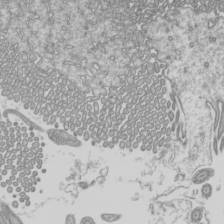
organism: Mouse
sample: Cilia; mouse epididymis